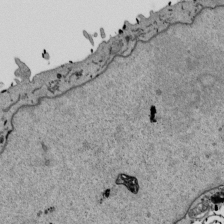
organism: Mouse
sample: ED-1 cell nuclei; centrioles